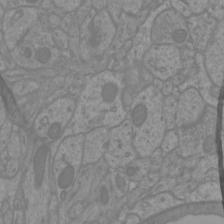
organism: Mouse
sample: Cortical neurons